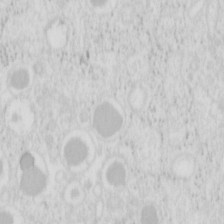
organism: Mouse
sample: Pancreas